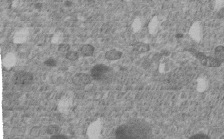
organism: C. elegans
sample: C. elegans embryo early stage